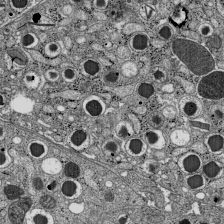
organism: C57BL Mouse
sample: Pancreatic islet